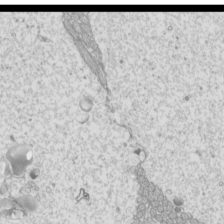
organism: Mouse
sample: Cilia; mouse epididymis